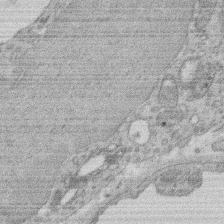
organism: Rat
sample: Salivary granule